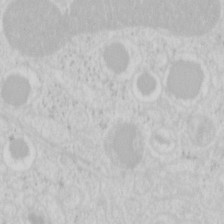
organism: Mouse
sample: Pancreas